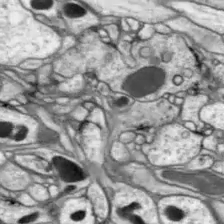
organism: Drosophila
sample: Optic lobe